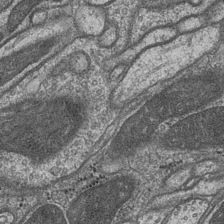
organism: Drosophila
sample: Optic medulla